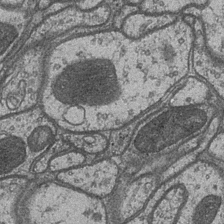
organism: Drosophila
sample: Optic medulla